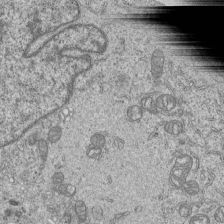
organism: Human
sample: MDA-MB-231 cells